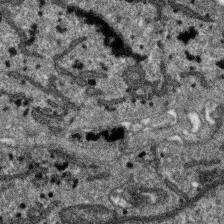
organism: Human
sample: Lung epithelial cells infected with SARS-CoV-2